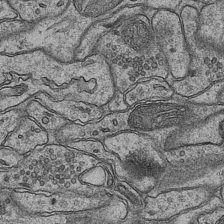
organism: Mouse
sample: CA1 Hippocampus